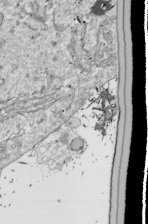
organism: Drosophila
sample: Cell division; meiosis; drosophila spermatocytes